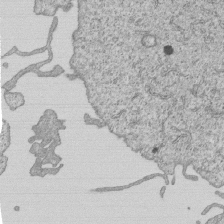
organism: Human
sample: MDA-MB-231 cells